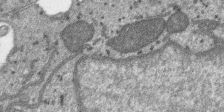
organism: Human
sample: Lung epithelial cells infected with SARS-CoV-2